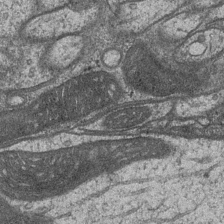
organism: Drosophila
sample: Optic medulla